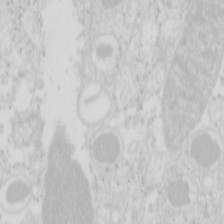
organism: Mouse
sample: Pancreas